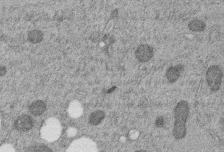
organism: C. elegans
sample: C. elegans embryo early stage